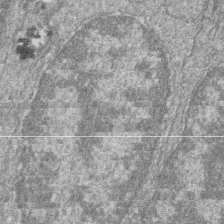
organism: Zebrafish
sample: Cilia; retinal pigment epithelium